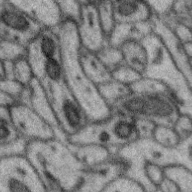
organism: Zebra finch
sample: Brain